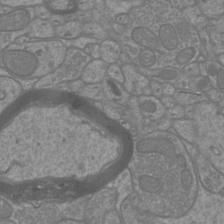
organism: Mouse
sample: Cortical neurons